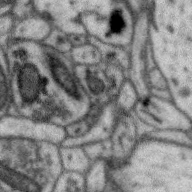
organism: Zebra finch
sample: Brain